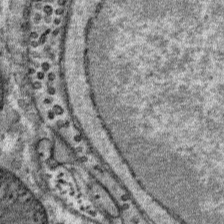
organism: Mouse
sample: Mouse Salivary gland